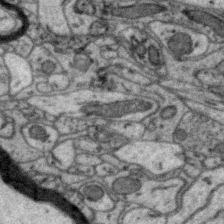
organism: Zebra finch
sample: Brain